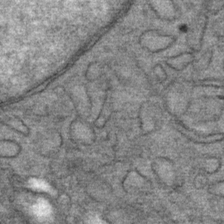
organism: Mouse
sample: Mouse Salivary gland